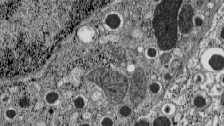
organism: C57BL Mouse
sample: Pancreatic islet